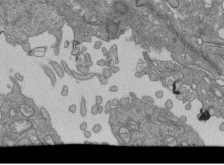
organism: Human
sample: Retinal organoid Rod and Cone cells